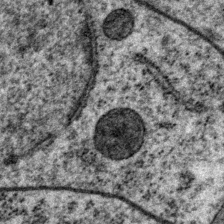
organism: P. pacificus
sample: Pharynx